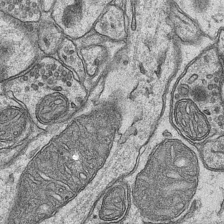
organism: Mouse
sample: CA1 Hippocampus